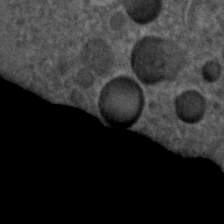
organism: C. elegans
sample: C. elegans embryo